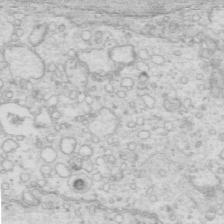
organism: Mouse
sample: Multiciliated cells